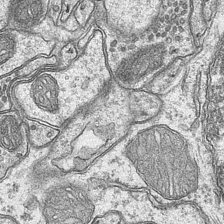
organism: Mouse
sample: CA1 Hippocampus